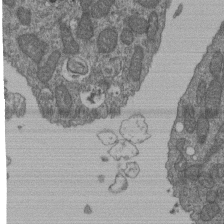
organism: Human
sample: Retinal organoid Rod and Cone cells